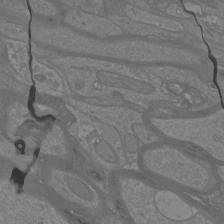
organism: Mouse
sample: Cortical neurons